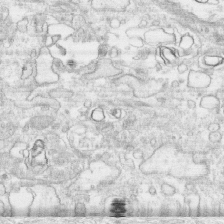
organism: Human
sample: CRL-1474